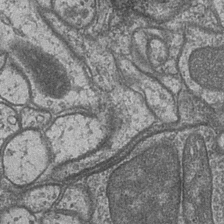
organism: Drosophila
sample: Optic medulla